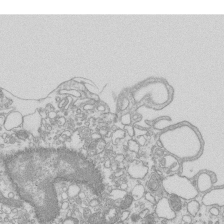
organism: Mouse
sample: Macrophages